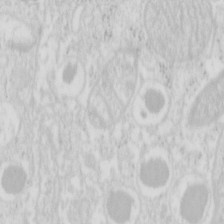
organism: Mouse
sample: Pancreas